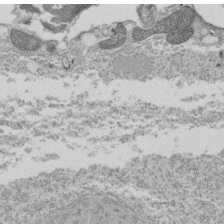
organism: Tetrahymena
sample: Cilia in tetrahymena